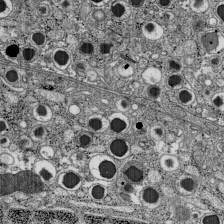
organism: C57BL Mouse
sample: Pancreatic islet